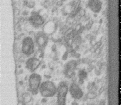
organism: Human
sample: Centriole in RPE cells